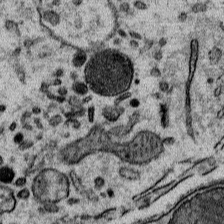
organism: Mouse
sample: Mouse Salivary gland